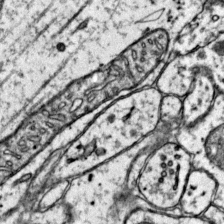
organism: Mouse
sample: Primary visual cortex